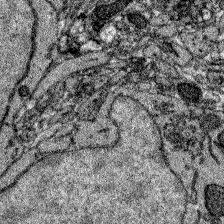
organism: Zebrafish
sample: Larval olfactory bulb